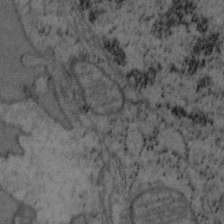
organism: Human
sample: HeLa cells